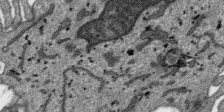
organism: Human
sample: Lung epithelial cells, uninfected (mock) control